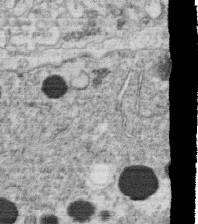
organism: C. elegans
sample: C. elegans oocyte; sperm cells